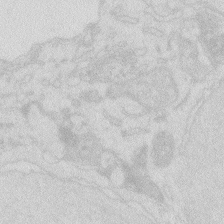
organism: Zebrafish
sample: Macrophage